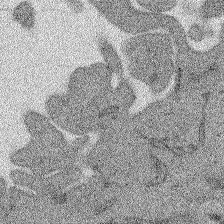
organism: Human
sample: HeLa cells